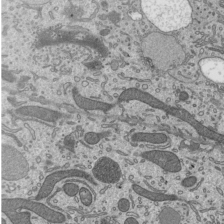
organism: Mouse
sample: Mouse epididymis efferent ductule cilia